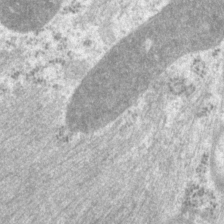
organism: P. pacificus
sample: Pharynx